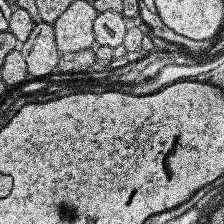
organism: Human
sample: Temporal Lobe